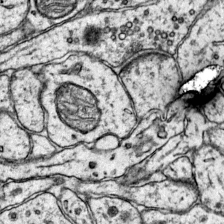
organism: Mouse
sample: Primary visual cortex